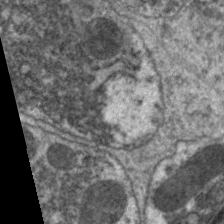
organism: C. elegans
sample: Pharynx